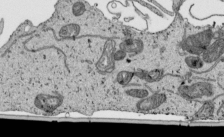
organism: Human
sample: Mitochondria in HCT116 cells